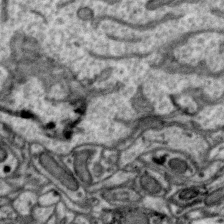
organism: Zebra finch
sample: Brain